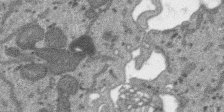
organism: Human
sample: Lung epithelial cells infected with SARS-CoV-2